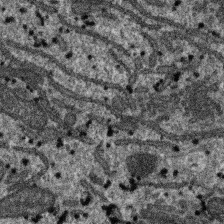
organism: Human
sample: Lung epithelial cells infected with SARS-CoV-2